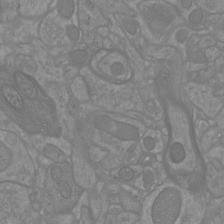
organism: Mouse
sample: Cortical neurons